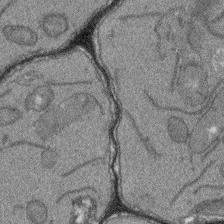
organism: Arabidopsis thaliana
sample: Root tip